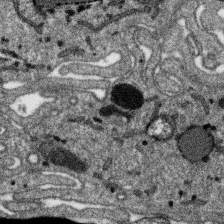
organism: Human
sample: Lung epithelial cells infected with SARS-CoV-2